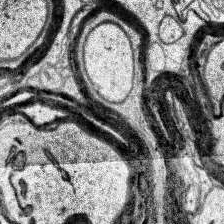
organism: Human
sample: Temporal Lobe